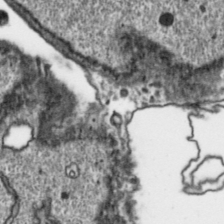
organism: Toxoplasma gondii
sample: Parasites in a vacuole inside a host cell